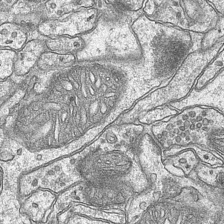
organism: Mouse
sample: CA1 Hippocampus